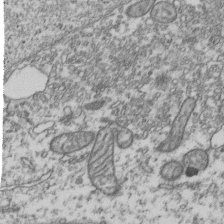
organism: Human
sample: Activated Jurkat CD4+ T cells